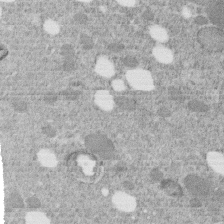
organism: C. elegans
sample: C. elegans embryo early stage